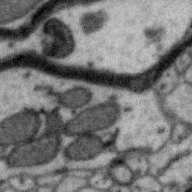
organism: Zebra finch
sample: Brain